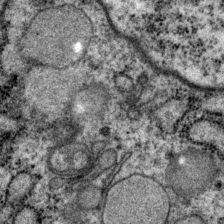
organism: P. pacificus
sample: Pharynx